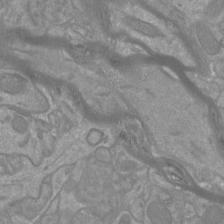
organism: Mouse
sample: Cortical neurons